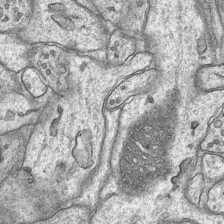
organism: Mouse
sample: CA1 Hippocampus